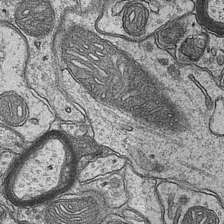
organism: Mouse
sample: CA1 Hippocampus